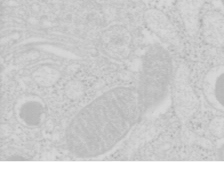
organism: Mouse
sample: Pancreas